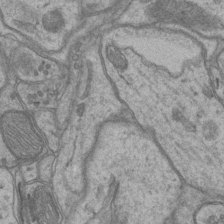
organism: Mouse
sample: CA1 Hippocampus